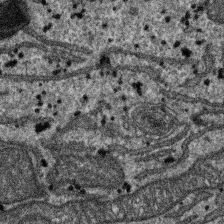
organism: Human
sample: Lung epithelial cells infected with SARS-CoV-2